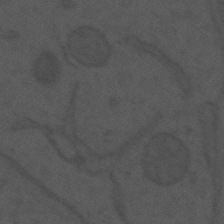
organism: Mouse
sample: Suprachiasmatic nucleus